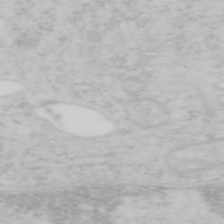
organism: Mouse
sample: OT-I killer T cells with ID8 ovarian cancer cells